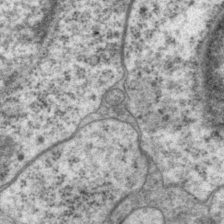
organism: P. pacificus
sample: Pharynx